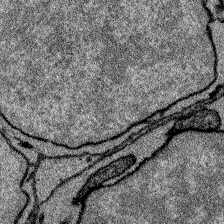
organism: Zebrafish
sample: Larval olfactory bulb